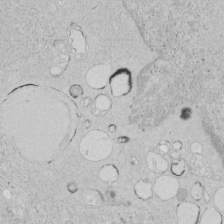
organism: Human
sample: Mitochondria in HCT116 cells